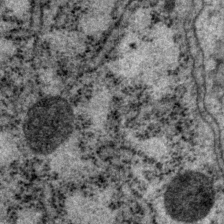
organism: P. pacificus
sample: Pharynx